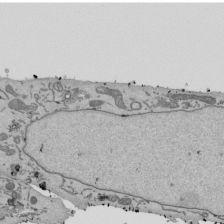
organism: Mouse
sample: ED-1 cell nuclei; centrioles